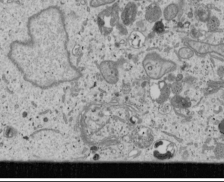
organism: Human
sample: Mitochondria in U2OS cells